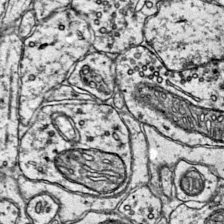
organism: Mouse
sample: Primary visual cortex